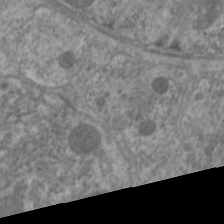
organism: C. elegans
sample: Pharynx